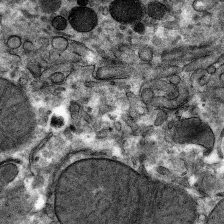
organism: Mouse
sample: Mouse hepatocytes